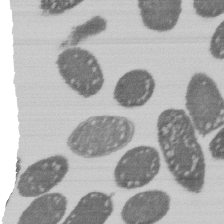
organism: E. coli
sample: Bacterial nucleoid